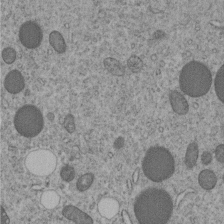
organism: C. elegans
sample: C. elegans embryo early stage